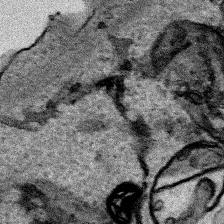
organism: Human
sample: Mitochondria in HCT116 cells